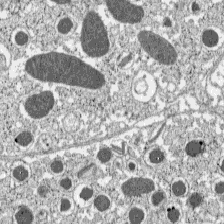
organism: C57BL Mouse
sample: Pancreatic islet